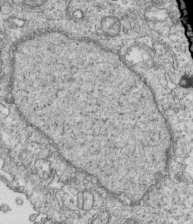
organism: Human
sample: HeLa cell HIV synapse